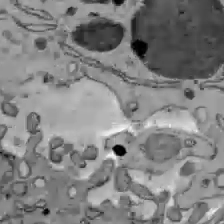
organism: C57BL Mouse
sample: Liver